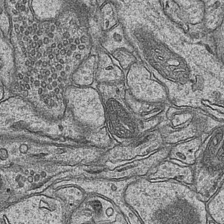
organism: Mouse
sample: CA1 Hippocampus